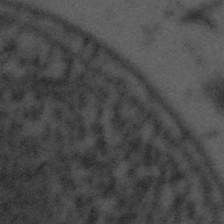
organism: Tuwongella immobilis